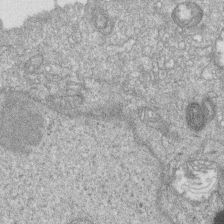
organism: Human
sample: HeLa cell HIV synapse